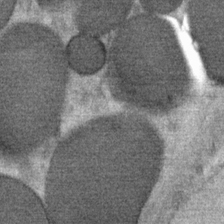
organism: Mouse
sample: Mouse Salivary gland